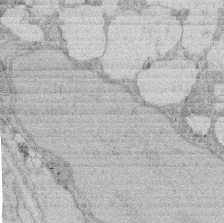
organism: Rat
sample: Salivary granule